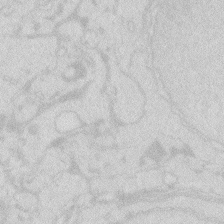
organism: Zebrafish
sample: Macrophage